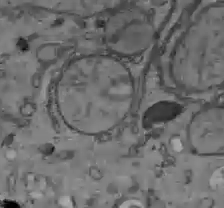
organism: C57BL Mouse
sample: Liver